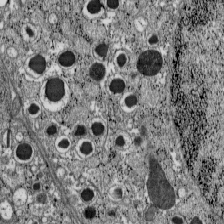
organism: C57BL Mouse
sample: Pancreatic islet